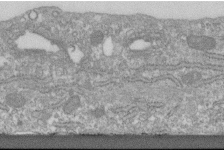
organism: Human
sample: Centriole in fibroblast cells